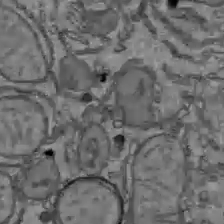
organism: C57BL Mouse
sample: Liver